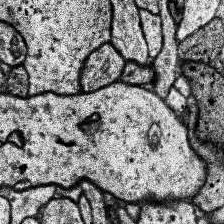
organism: Human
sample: Temporal Lobe